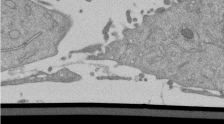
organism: Mouse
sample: ED-1 cell nuclei; centrioles